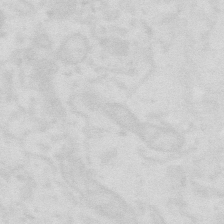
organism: Human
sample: HeLa cells